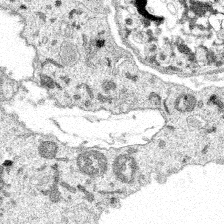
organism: Spongilla lacustris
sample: Multiple